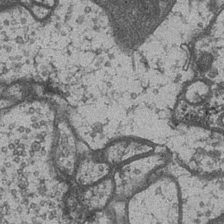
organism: Drosophila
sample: Optic medulla